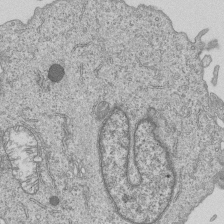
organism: Human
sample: MDA-MB-231 cells